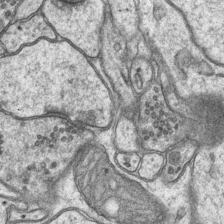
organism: Mouse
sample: CA1 Hippocampus